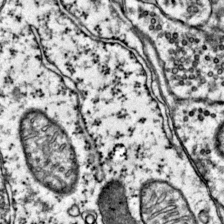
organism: Mouse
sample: Primary visual cortex